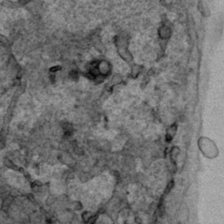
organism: Human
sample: Mitochondria in HCT116 cells